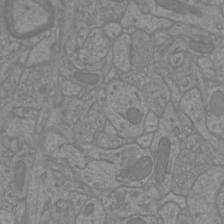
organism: Mouse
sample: Cortical neurons